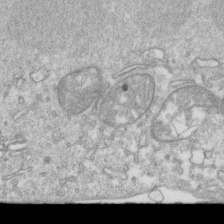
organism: Mouse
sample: Activated OT-1 CD8+ T cells